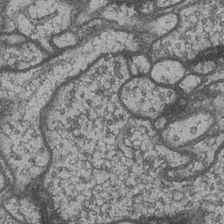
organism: Drosophila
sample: Optic medulla